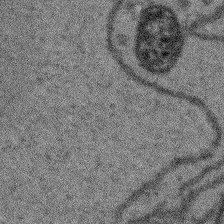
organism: Arabidopsis thaliana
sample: Root tip